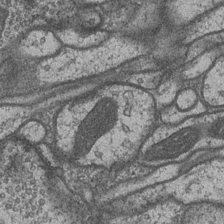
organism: Drosophila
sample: Optic medulla